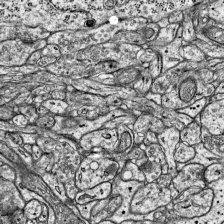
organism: Mouse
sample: Visual Cortex